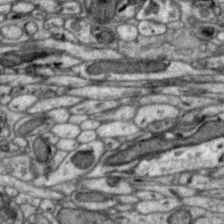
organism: Zebra finch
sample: Brain